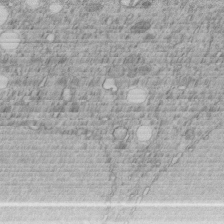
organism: C. elegans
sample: C. elegans embryo early stage